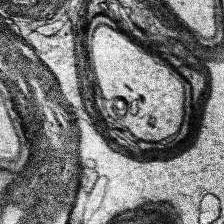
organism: Human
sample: Temporal Lobe